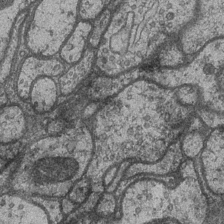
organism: Drosophila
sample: Optic medulla